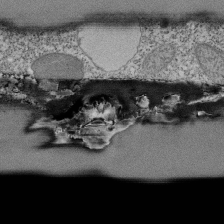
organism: Tetrahymena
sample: Cilia in tetrahymena